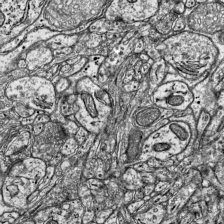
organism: Mouse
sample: Visual Cortex